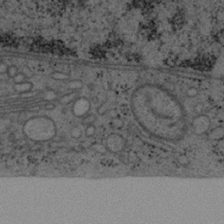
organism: Human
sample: HeLa cells